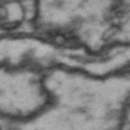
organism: Drosophila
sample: Brain